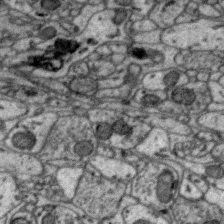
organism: Zebra finch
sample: Brain